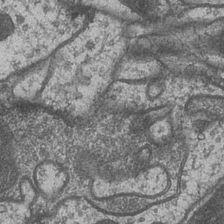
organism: Drosophila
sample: Optic medulla